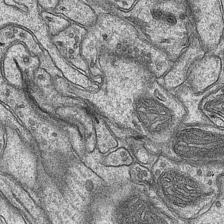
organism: Mouse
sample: CA1 Hippocampus